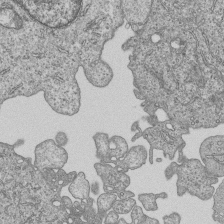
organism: Human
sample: MDA-MB-231 cells